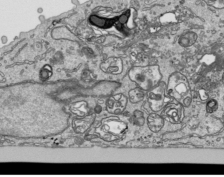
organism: Human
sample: Mitochondria in HCT116 cells